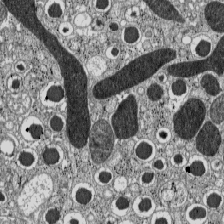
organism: C57BL Mouse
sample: Pancreatic islet